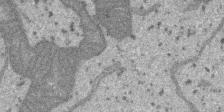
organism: Human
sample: Lung epithelial cells infected with SARS-CoV-2